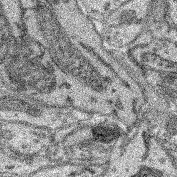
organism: Mouse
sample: Retina